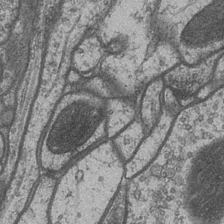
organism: Drosophila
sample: Optic medulla